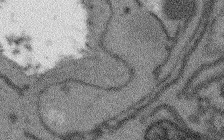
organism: Arabidopsis thaliana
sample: Root tip